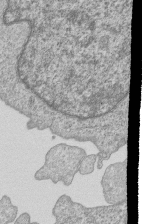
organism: Human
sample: MDA-MB-231 cells